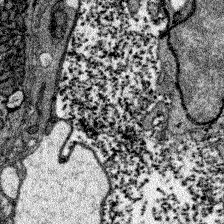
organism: Zebrafish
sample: Larval olfactory bulb